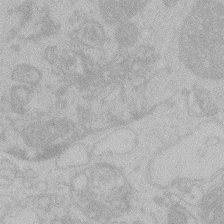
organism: Zebrafish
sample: Macrophage infected with Toxoplasma gondii